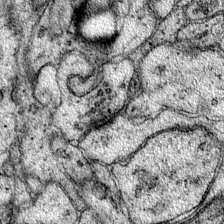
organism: Mouse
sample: Primary visual cortex